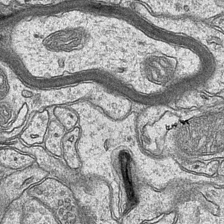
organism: Mouse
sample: CA1 Hippocampus